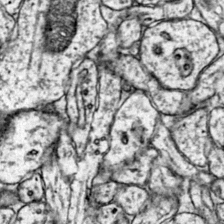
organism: Mouse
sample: Primary visual cortex